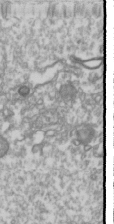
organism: Drosophila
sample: Cell division; meiosis; drosophila spermatocytes